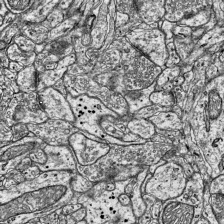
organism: Mouse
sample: Visual Cortex